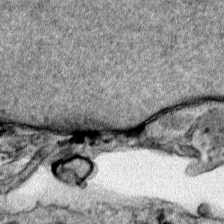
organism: Human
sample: Mitochondria in HCT116 cells